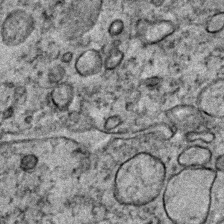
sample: Trachea